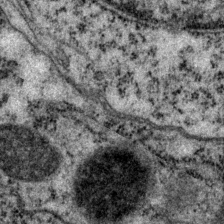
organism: P. pacificus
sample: Pharynx